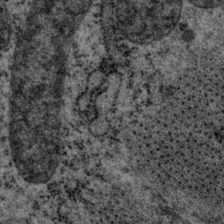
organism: P. pacificus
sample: Pharynx